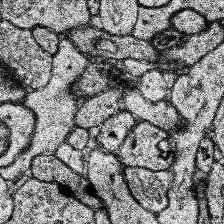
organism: Human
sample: Temporal Lobe